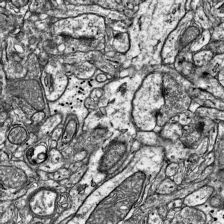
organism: Mouse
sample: Visual Cortex